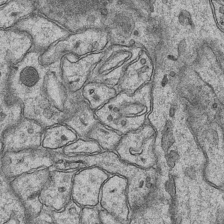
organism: Mouse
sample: CA1 Hippocampus